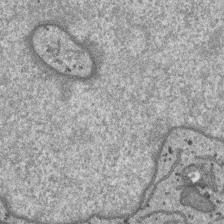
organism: Human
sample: Lung epithelial cells infected with SARS-CoV-2